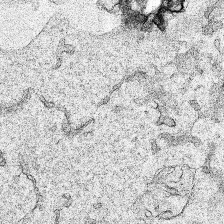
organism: Human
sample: Mitochondria in HCT116 cells